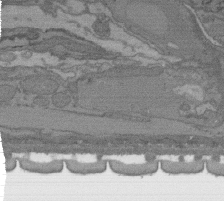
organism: C. elegans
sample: AFD neurons C. elegans